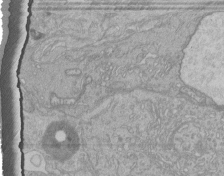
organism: Human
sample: Retinal organoid Rod and Cone cells